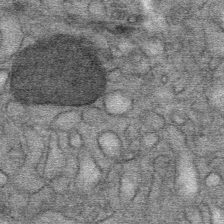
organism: Mouse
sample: Mouse Salivary gland